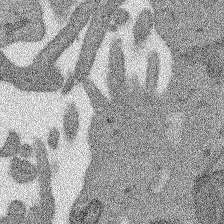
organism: Human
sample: HeLa cells